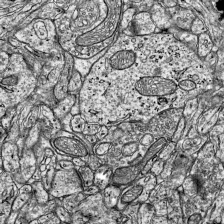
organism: Mouse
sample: Visual Cortex